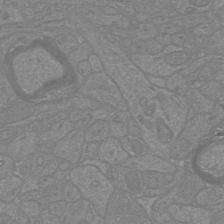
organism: Mouse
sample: Cortical neurons